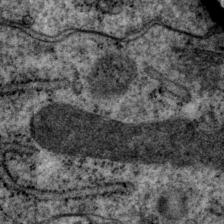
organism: P. pacificus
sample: Pharynx